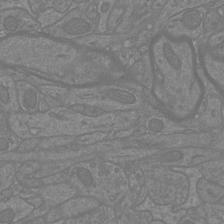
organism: Mouse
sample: Cortical neurons